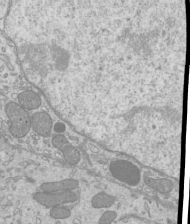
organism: Mouse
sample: Cilia; mouse epididymis